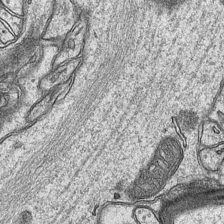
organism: Mouse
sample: CA1 Hippocampus